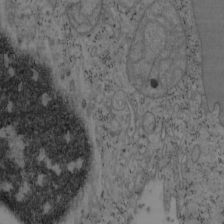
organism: Mouse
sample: OT-I killer T cells with ID8 ovarian cancer cells